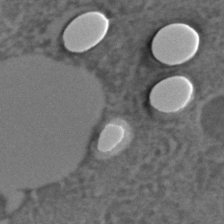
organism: C. elegans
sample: C. elegans embryo